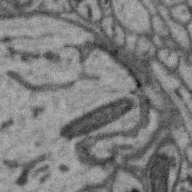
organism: Zebra finch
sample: Brain